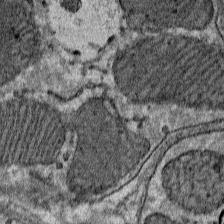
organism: Mouse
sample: Mouse Salivary gland